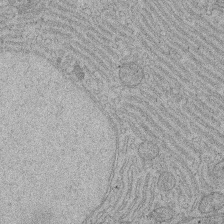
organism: Rat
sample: Salivary granule